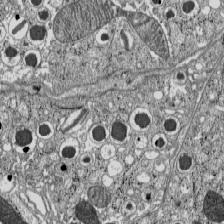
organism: C57BL Mouse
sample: Pancreatic islet